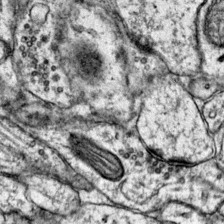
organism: Mouse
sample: Primary visual cortex